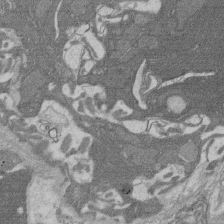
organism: Rat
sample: Salivary granule